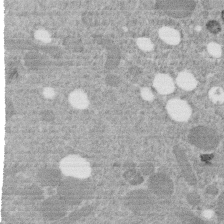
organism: C. elegans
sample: C. elegans embryo early stage